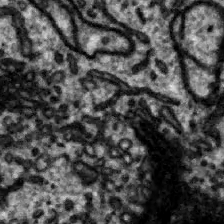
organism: Human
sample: HeLa cells